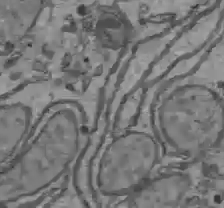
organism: C57BL Mouse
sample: Liver